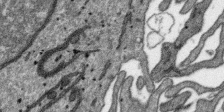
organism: Human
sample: Lung epithelial cells, uninfected (mock) control